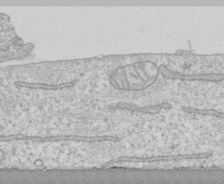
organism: Human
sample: CRL-1474